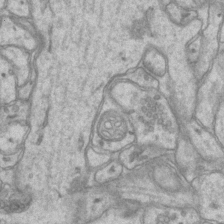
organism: Mouse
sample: CA1 Hippocampus